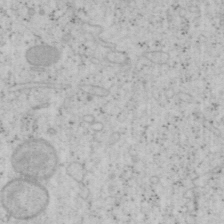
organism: Human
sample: HeLa cells